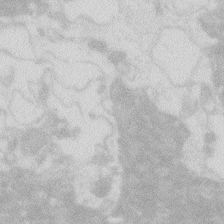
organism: Zebrafish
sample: Macrophage